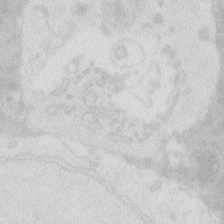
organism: Zebrafish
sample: Macrophage